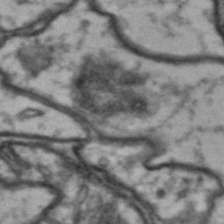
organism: Drosophila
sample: Brain